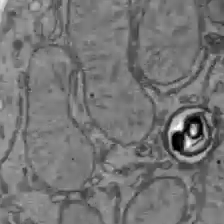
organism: C57BL Mouse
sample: Liver